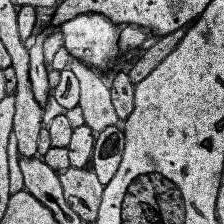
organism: Human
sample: Temporal Lobe